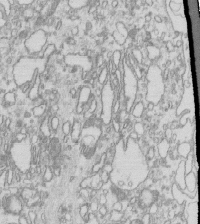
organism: Mouse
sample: Macrophages